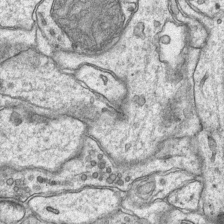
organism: Mouse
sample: CA1 Hippocampus